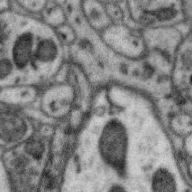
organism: Zebra finch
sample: Brain